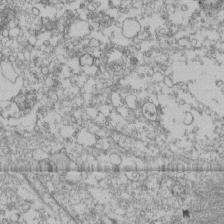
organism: Human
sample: Fibroblast cells